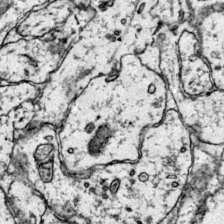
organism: Mouse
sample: Primary visual cortex